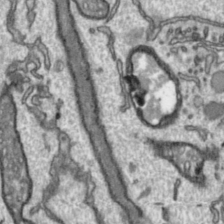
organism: Toxoplasma gondii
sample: Parasites in a vacuole inside a host cell